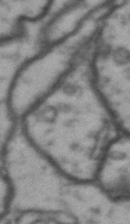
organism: Drosophila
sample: Brain